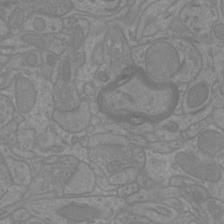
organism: Mouse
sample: Cortical neurons